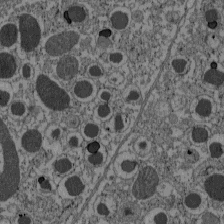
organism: C57BL Mouse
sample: Pancreatic islet